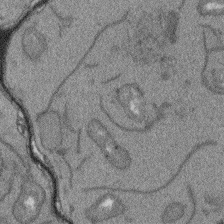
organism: Arabidopsis thaliana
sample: Root tip